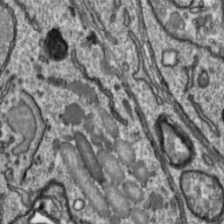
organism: Toxoplasma gondii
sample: Parasites in a vacuole inside a host cell